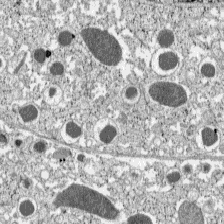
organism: C57BL Mouse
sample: Pancreatic islet